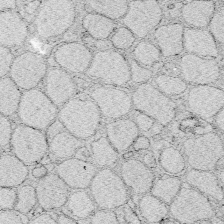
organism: Zebrafish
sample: Whole-Brain